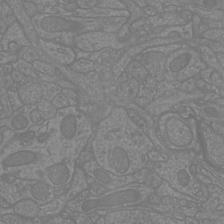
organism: Mouse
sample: Cortical neurons